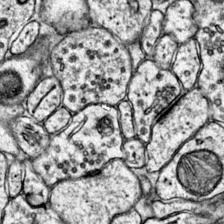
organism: Mouse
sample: Primary visual cortex